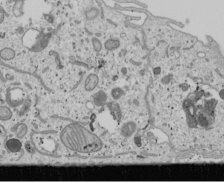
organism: Human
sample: Mitochondria in U2OS cells